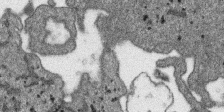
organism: Human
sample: Lung epithelial cells infected with SARS-CoV-2